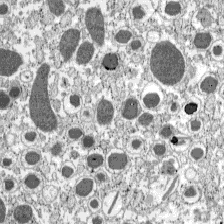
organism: C57BL Mouse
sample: Pancreatic islet